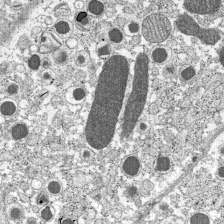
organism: C57BL Mouse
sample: Pancreatic islet